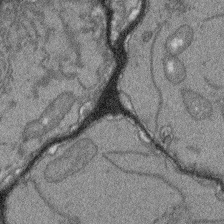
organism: Arabidopsis thaliana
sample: Root tip